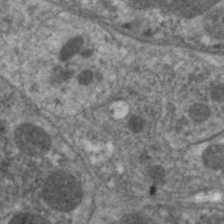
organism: C. elegans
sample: Pharynx